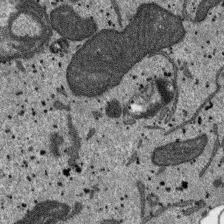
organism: Human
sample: Lung epithelial cells, uninfected (mock) control